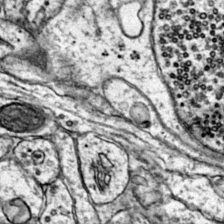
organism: Mouse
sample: Primary visual cortex